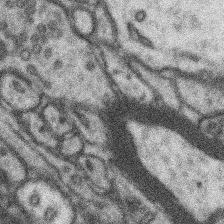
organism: Mouse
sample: Somatosensory cortex neuropil